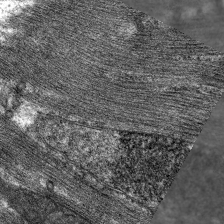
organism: C. elegans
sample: Pharynx